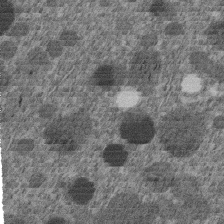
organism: C. elegans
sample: C. elegans embryo early stage